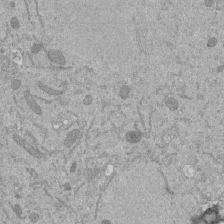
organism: Mouse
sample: ED-1 cell nuclei; centrioles